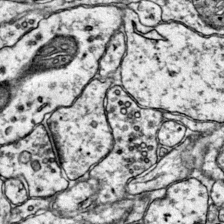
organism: Mouse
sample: Primary visual cortex